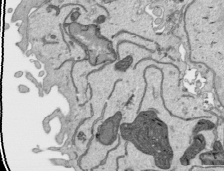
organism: Human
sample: Mitochondria in HCT116 cells